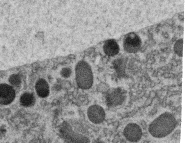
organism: C. elegans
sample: C. elegans oocyte; sperm cells